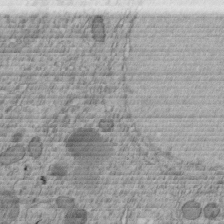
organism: C. elegans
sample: C. elegans embryo early stage